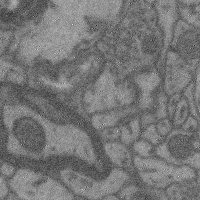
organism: Mouse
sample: Cerebral cortex